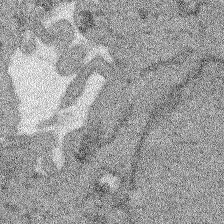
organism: Human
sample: HeLa cells